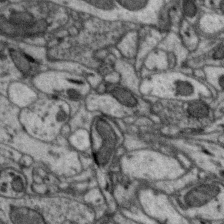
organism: Zebra finch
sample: Brain